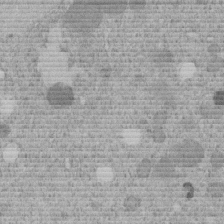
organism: C. elegans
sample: C. elegans embryo early stage